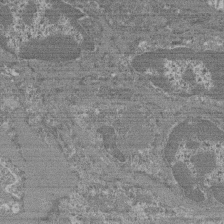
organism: Mouse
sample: Glomerulus